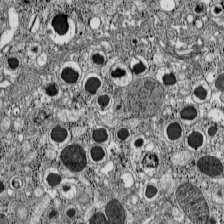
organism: C57BL Mouse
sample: Pancreatic islet